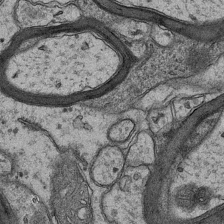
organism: Mouse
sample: CA1 Hippocampus